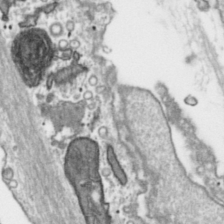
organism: Toxoplasma gondii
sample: Parasites in a vacuole inside a host cell